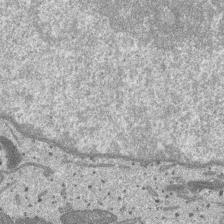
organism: Human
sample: Lung epithelial cells infected with SARS-CoV-2